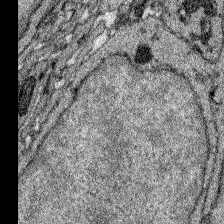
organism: Zebrafish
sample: Larval olfactory bulb